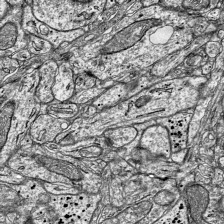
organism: Mouse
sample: Visual Cortex